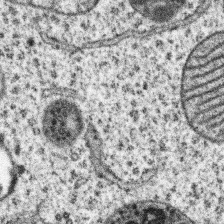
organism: Human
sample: HeLa cells